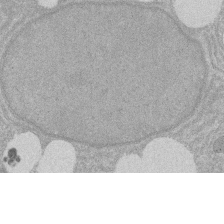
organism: Rat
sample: Salivary granule